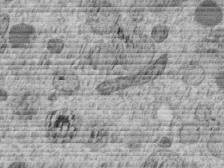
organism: C. elegans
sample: C. elegans embryo early stage